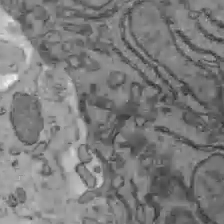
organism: C57BL Mouse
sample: Liver